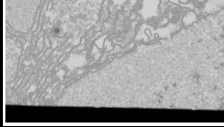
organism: Drosophila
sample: Cell division; meiosis; drosophila spermatocytes